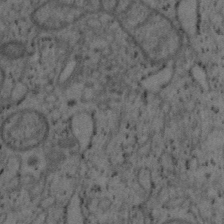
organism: Human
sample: HeLa cells